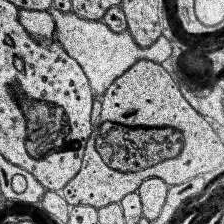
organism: Human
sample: Temporal Lobe